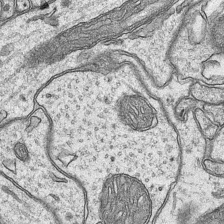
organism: Mouse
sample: CA1 Hippocampus